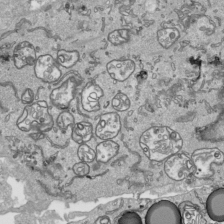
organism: Human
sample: Mitochondria in HCT116 cells